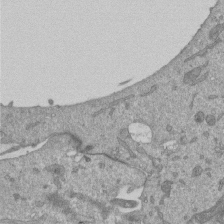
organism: Mouse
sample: ED-1 cell nuclei; centrioles